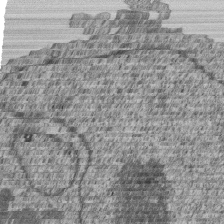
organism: Human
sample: MDA-MB-231 cells